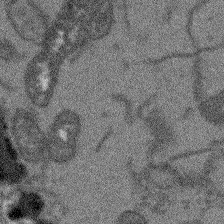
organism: Arabidopsis thaliana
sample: Root tip